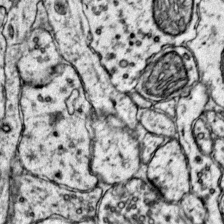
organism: Mouse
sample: Primary visual cortex